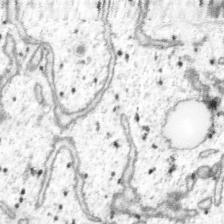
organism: Human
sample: HeLa cells